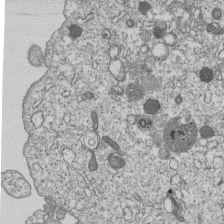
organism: Human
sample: MDA-MB-231 cells